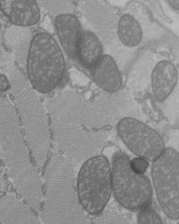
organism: C57BL Mouse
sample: Heart